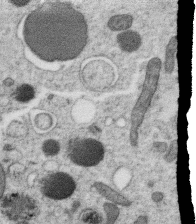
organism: C. elegans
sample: C. elegans oocyte; sperm cells